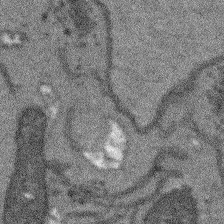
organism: Arabidopsis thaliana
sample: Root tip